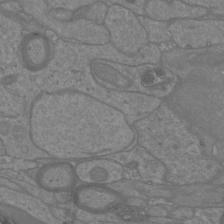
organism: Mouse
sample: Cortical neurons